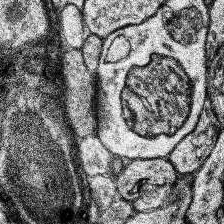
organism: Human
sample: Temporal Lobe